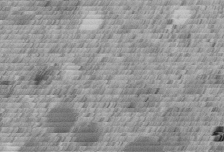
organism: C. elegans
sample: C. elegans embryo early stage